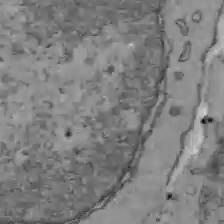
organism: C57BL Mouse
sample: Liver